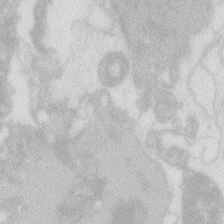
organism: Zebrafish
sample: Macrophage